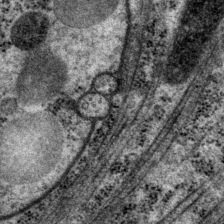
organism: P. pacificus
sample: Pharynx